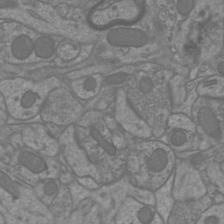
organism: Mouse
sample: Cortical neurons